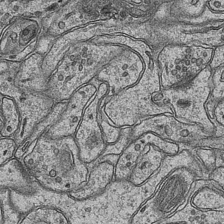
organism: Mouse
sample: CA1 Hippocampus